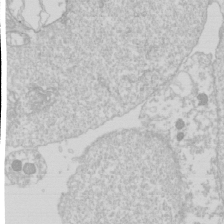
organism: Drosophila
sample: Cell division; meiosis; drosophila spermatocytes